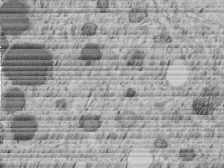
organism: C. elegans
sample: C. elegans embryo early stage